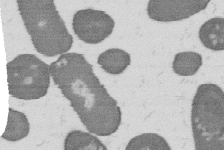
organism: B. subtilis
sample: Bacterial spore